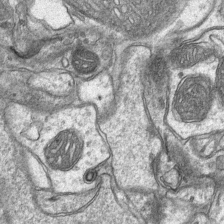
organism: Mouse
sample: CA1 Hippocampus